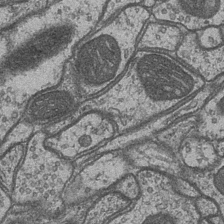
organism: Drosophila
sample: Optic medulla